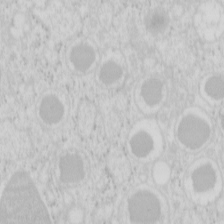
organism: Mouse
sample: Pancreas